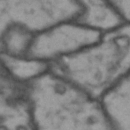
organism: Drosophila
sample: Brain